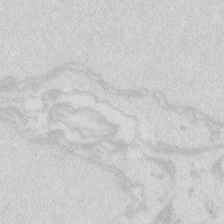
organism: Zebrafish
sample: Macrophage